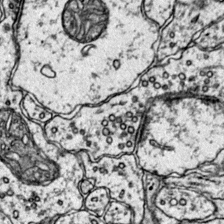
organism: Mouse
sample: Primary visual cortex